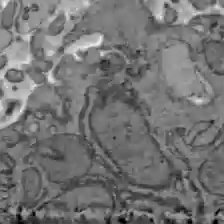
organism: C57BL Mouse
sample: Liver